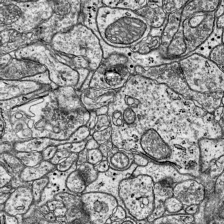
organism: Mouse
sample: Visual Cortex